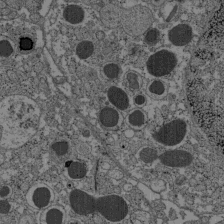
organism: C57BL Mouse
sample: Pancreatic islet